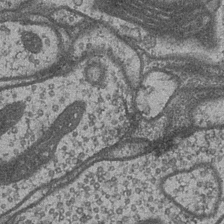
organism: Drosophila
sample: Optic medulla